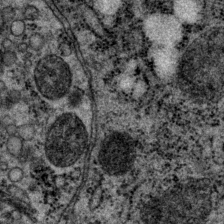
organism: P. pacificus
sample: Pharynx